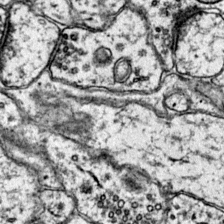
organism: Mouse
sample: Primary visual cortex